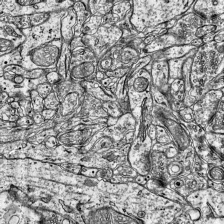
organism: Mouse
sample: Visual Cortex